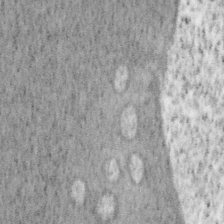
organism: Mouse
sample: OT-I killer T cells with ID8 ovarian cancer cells